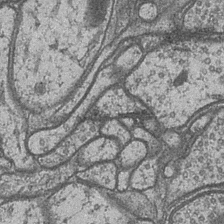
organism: Drosophila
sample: Optic medulla